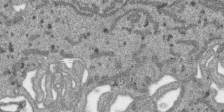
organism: Human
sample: Lung epithelial cells infected with SARS-CoV-2